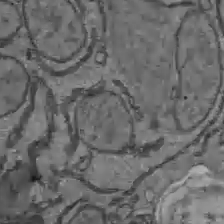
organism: C57BL Mouse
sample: Liver